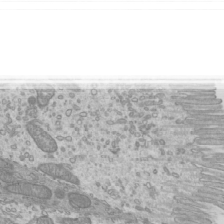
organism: Mouse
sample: Cilia; mouse epididymis